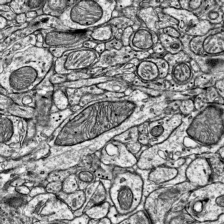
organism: Mouse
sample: Visual Cortex